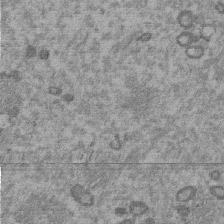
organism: Mouse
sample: Dividing mouse embryo 1 cell stage